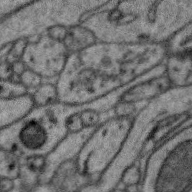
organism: Zebra finch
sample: Brain